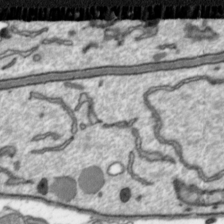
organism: Toxoplasma gondii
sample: Parasites in a vacuole inside a host cell